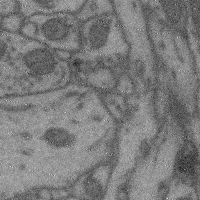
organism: Mouse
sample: Cerebral cortex